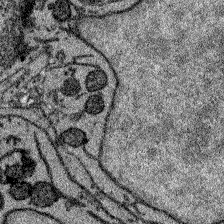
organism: Zebrafish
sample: Larval olfactory bulb